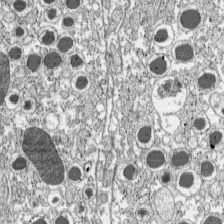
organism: C57BL Mouse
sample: Pancreatic islet